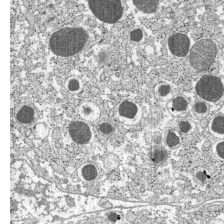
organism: C57BL Mouse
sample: Pancreatic islet